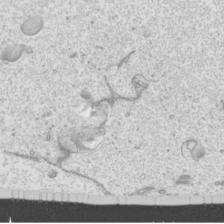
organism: Mouse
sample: Cilia; mouse epididymis